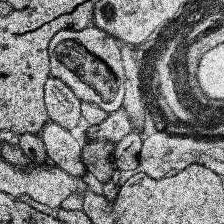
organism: Human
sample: Temporal Lobe